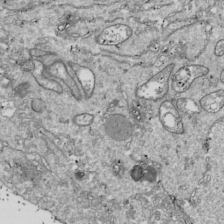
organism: Drosophila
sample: Cell division; meiosis; drosophila spermatocytes